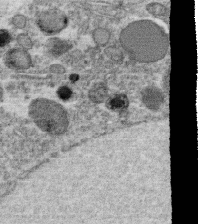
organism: C. elegans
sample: C. elegans oocyte; sperm cells